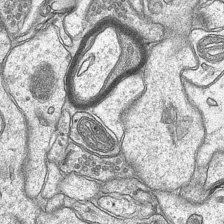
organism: Mouse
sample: CA1 Hippocampus